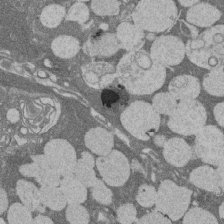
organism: Rat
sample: Salivary granule